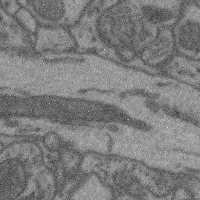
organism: Mouse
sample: Cerebral cortex